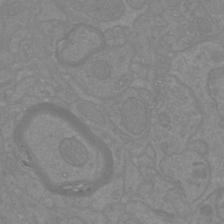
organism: Mouse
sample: Cortical neurons